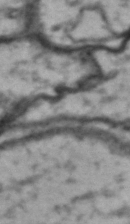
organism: Drosophila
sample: Brain